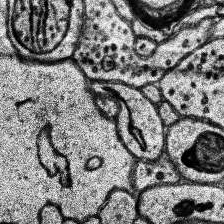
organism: Human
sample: Temporal Lobe